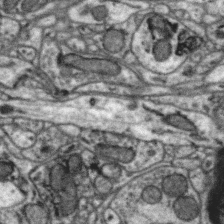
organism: Zebra finch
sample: Brain